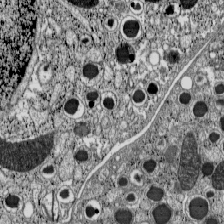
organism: C57BL Mouse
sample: Pancreatic islet